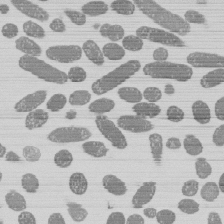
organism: E. coli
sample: Bacterial nucleoid